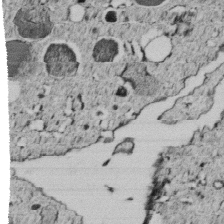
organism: C. elegans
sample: C. elegans embryo early stage